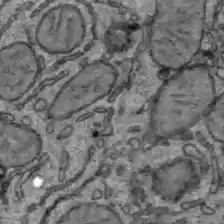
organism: C57BL Mouse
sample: Liver